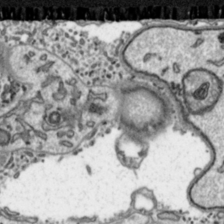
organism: Toxoplasma gondii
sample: Parasites in a vacuole inside a host cell